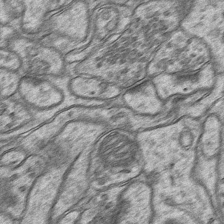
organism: Mouse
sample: CA1 Hippocampus